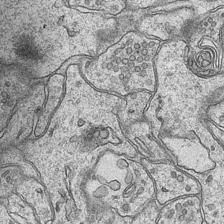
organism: Mouse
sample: CA1 Hippocampus